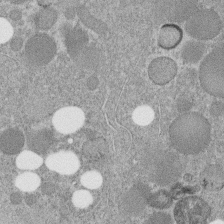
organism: C. elegans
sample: C. elegans embryo early stage